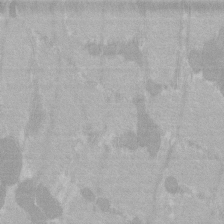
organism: C57BL Mouse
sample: Tibialis anterior muscle cell